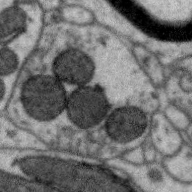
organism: Zebra finch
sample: Brain